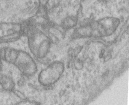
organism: Human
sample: Centriole in RPE cells